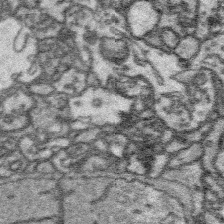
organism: Platynereis dumerilii